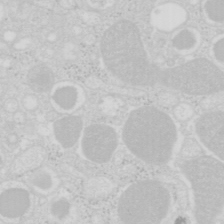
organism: Mouse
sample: Pancreas